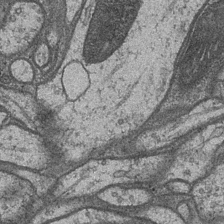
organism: Drosophila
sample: Optic medulla